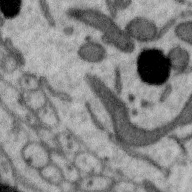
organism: Zebra finch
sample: Brain